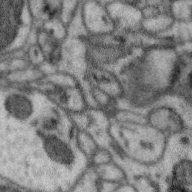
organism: Zebra finch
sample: Brain